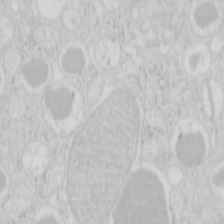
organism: Mouse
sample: Pancreas